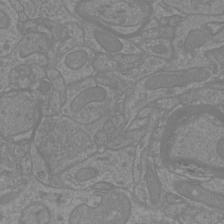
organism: Mouse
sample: Cortical neurons